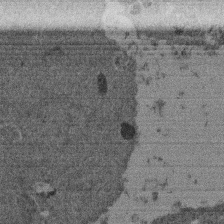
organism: Mouse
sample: Dividing mouse embryo 1 cell stage